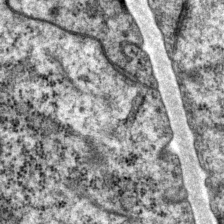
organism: P. pacificus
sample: Pharynx